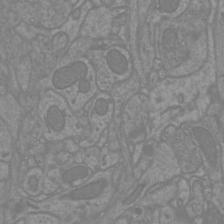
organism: Mouse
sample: Cortical neurons